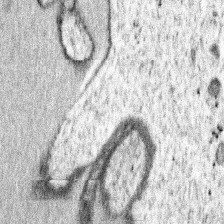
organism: Human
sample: HeLa cells